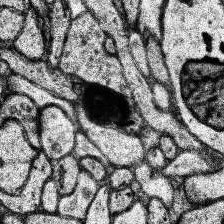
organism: Human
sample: Temporal Lobe